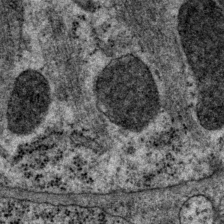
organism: P. pacificus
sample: Pharynx